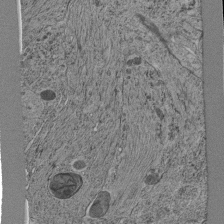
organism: C. elegans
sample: C. elegans pharynx